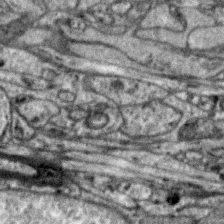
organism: Zebra finch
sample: Brain